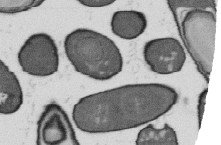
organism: B. subtilis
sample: Bacterial spore